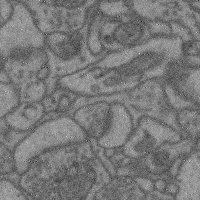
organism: Mouse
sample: Cerebral cortex